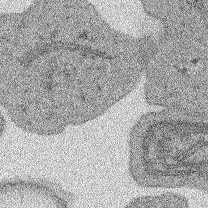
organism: Human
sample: HeLa cells